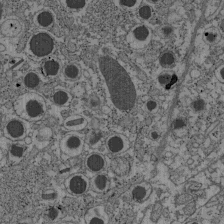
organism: C57BL Mouse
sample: Pancreatic islet